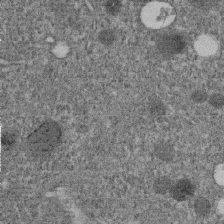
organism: C. elegans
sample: C. elegans embryo early stage